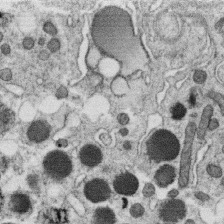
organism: C. elegans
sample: C. elegans oocyte; sperm cells